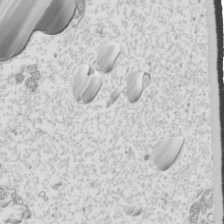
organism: Mouse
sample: Cilia; mouse epididymis